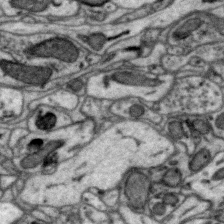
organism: Zebra finch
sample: Brain